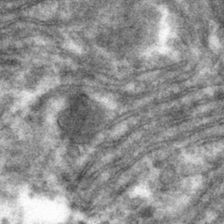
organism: Mouse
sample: Mouse hepatocytes